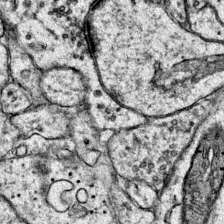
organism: Mouse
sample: Primary visual cortex